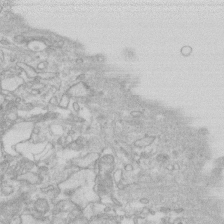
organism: Human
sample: Fibroblast cells